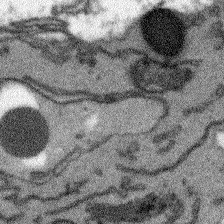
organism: Arabidopsis thaliana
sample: Root tip